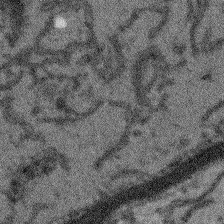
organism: Arabidopsis thaliana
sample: Root tip